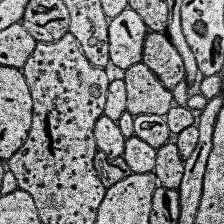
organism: Human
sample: Temporal Lobe